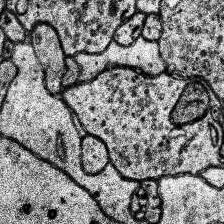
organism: Human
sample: Temporal Lobe